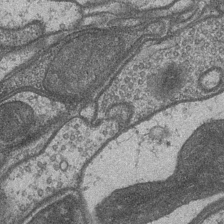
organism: Drosophila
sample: Optic medulla